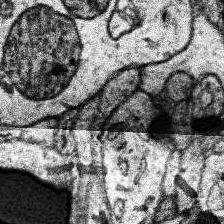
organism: Human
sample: Temporal Lobe